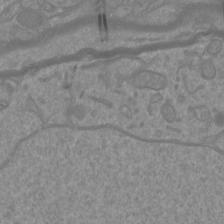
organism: Mouse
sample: Cortical neurons